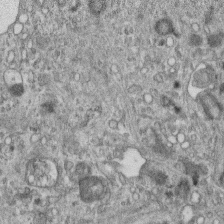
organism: Mouse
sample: Centriole in ependymal cells